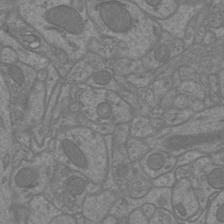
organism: Mouse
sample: Cortical neurons